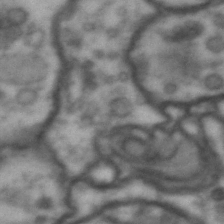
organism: Drosophila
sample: Brain